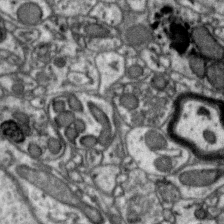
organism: Zebra finch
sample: Brain